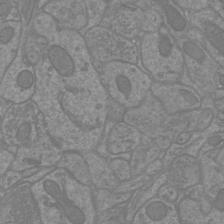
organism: Mouse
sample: Cortical neurons